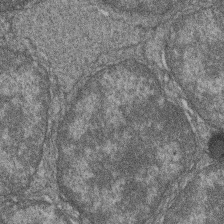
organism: Zebrafish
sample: Cilia; retinal pigment epithelium